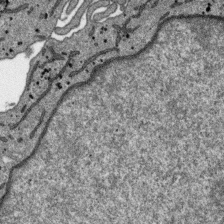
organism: Human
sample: Lung epithelial cells, uninfected (mock) control